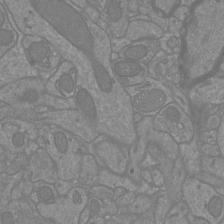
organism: Mouse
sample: Cortical neurons